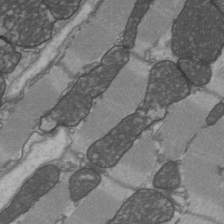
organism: C57BL Mouse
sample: Heart